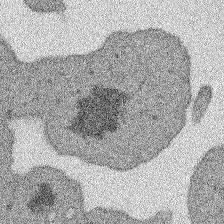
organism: Human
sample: HeLa cells